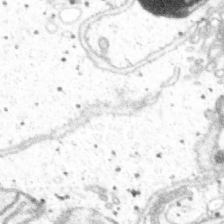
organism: Human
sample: HeLa cells